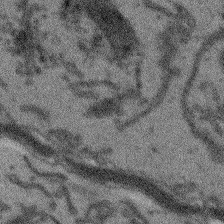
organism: Arabidopsis thaliana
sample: Root tip